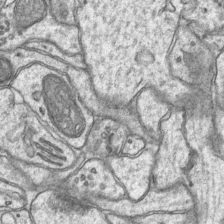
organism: Mouse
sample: CA1 Hippocampus